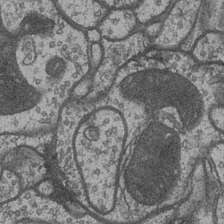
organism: Drosophila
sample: Optic medulla